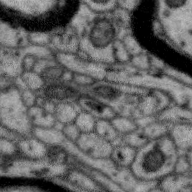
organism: Zebra finch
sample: Brain